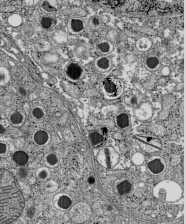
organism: C57BL Mouse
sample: Pancreatic islet